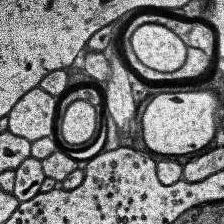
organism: Human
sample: Temporal Lobe